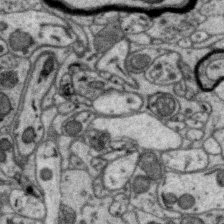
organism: Zebra finch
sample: Brain